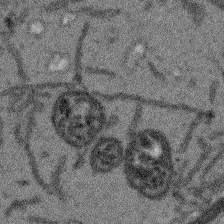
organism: Arabidopsis thaliana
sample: Root tip